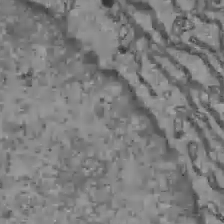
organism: C57BL Mouse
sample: Liver